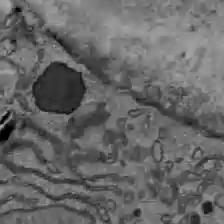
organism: C57BL Mouse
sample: Liver